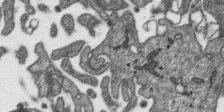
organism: Human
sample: Lung epithelial cells infected with SARS-CoV-2